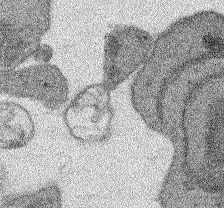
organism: Human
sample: HeLa cells